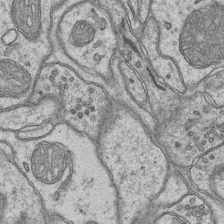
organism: Mouse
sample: CA1 Hippocampus